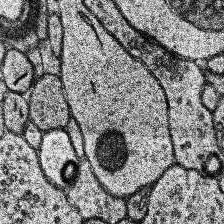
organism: Human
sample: Temporal Lobe